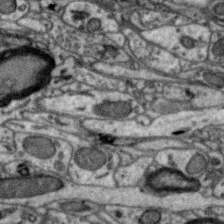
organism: Zebra finch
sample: Brain